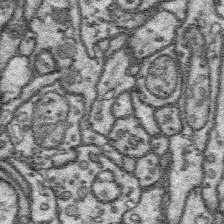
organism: Platynereis dumerilii